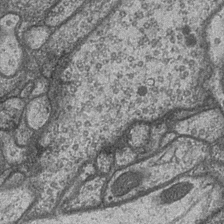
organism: Drosophila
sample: Optic medulla